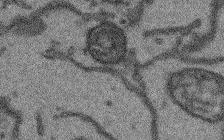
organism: Arabidopsis thaliana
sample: Root tip